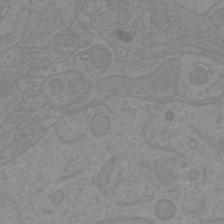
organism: Mouse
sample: Cortical neurons